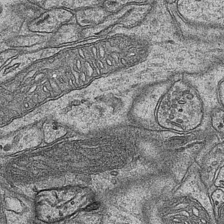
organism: Mouse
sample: CA1 Hippocampus